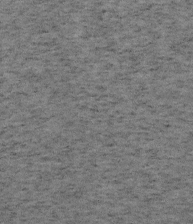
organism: Mouse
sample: OT-I killer T cells with ID8 ovarian cancer cells